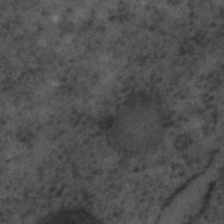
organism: C. elegans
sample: C. elegans embryo